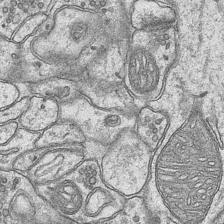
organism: Mouse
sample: CA1 Hippocampus